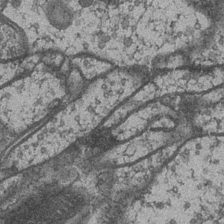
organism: Drosophila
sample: Optic medulla